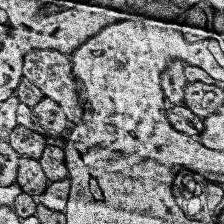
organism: Human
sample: Temporal Lobe